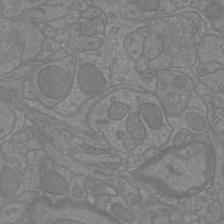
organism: Mouse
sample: Cortical neurons